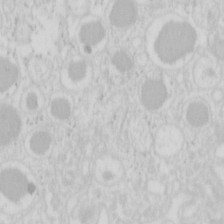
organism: Mouse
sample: Pancreas